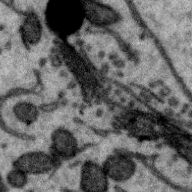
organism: Zebra finch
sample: Brain